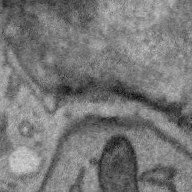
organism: Zebra finch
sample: Brain